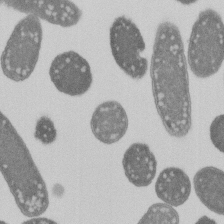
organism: E. coli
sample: Bacterial nucleoid